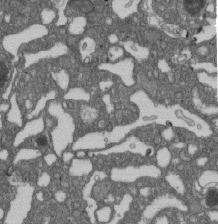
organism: Drosophila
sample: Nephrocyte